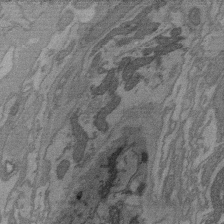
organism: C. elegans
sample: AFD neurons C. elegans